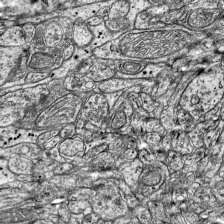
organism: Mouse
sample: Visual Cortex